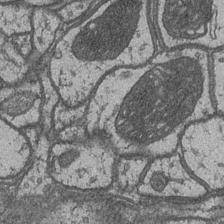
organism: Drosophila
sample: Optic medulla